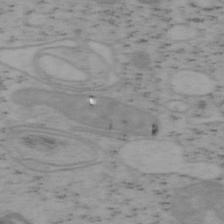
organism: Mouse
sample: OT-I killer T cells with ID8 ovarian cancer cells